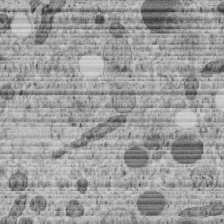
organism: C. elegans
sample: C. elegans embryo early stage